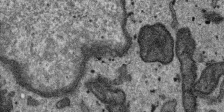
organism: Human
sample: Lung epithelial cells, uninfected (mock) control